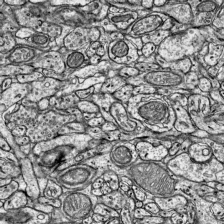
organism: Mouse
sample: Visual Cortex